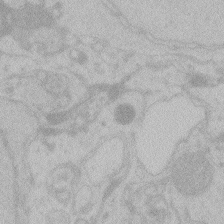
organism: Zebrafish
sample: Macrophage infected with Toxoplasma gondii